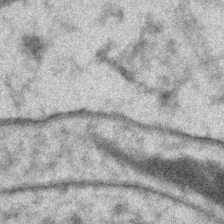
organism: Zebrafish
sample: Zebrafish embryo